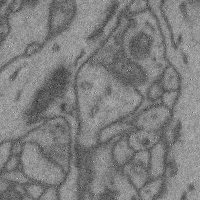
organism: Mouse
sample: Cerebral cortex